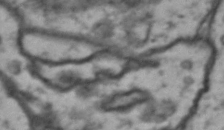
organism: Drosophila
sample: Brain